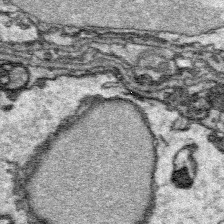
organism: Platynereis dumerilii